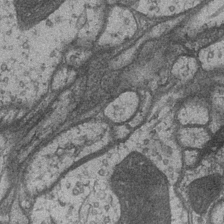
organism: Drosophila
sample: Optic medulla